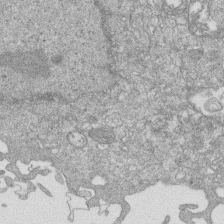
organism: Human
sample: HeLa cell HIV synapse